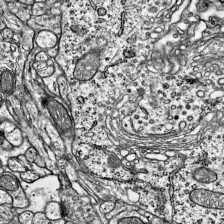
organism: Mouse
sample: Visual Cortex